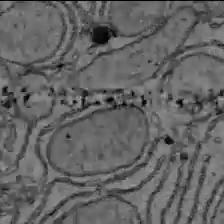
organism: C57BL Mouse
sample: Liver